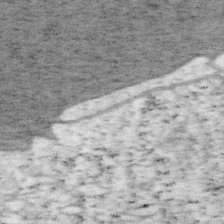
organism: Mouse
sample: OT-I killer T cells with ID8 ovarian cancer cells